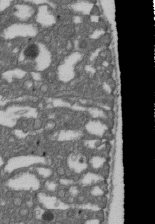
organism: Drosophila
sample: Nephrocyte